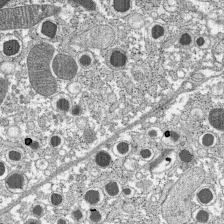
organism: C57BL Mouse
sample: Pancreatic islet